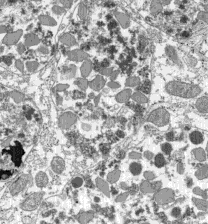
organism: C57BL Mouse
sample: Pancreatic islet